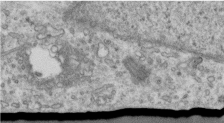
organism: Human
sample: Centriole in RPE cells